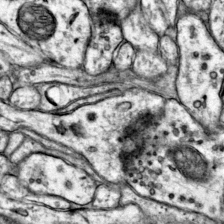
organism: Mouse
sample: Primary visual cortex